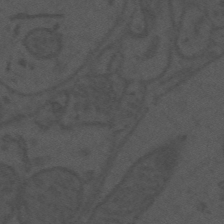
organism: Mouse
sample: Suprachiasmatic nucleus